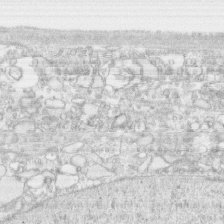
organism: Human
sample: CRL-1474